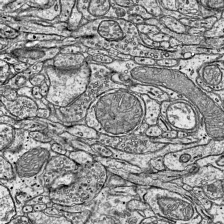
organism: Mouse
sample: Visual Cortex